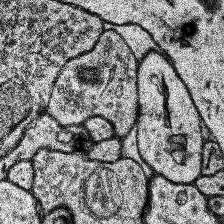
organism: Human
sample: Temporal Lobe